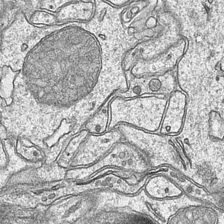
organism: Mouse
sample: CA1 Hippocampus